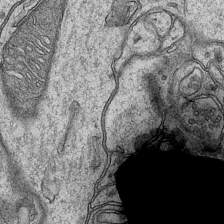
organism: Mouse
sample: CA1 Hippocampus